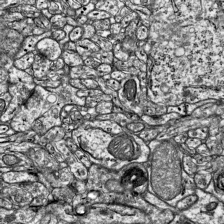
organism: Mouse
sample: Visual Cortex